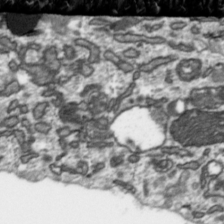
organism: Toxoplasma gondii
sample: Parasites in a vacuole inside a host cell